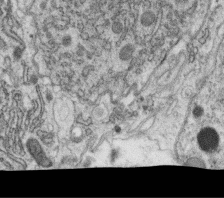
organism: C. elegans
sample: C. elegans oocyte; sperm cells